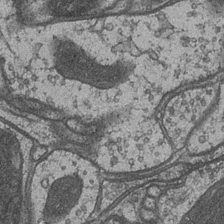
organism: Drosophila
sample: Optic medulla